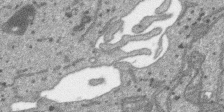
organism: Human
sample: Lung epithelial cells infected with SARS-CoV-2